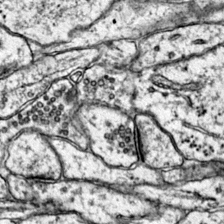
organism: Mouse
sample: Primary visual cortex